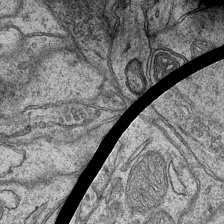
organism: Mouse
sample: CA1 Hippocampus